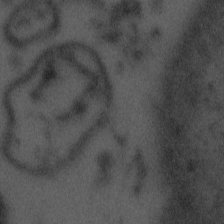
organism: Tuwongella immobilis